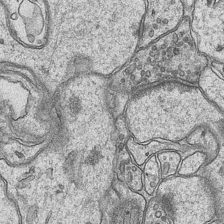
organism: Mouse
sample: CA1 Hippocampus